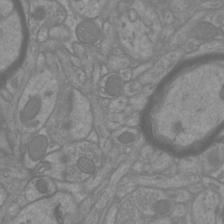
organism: Mouse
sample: Cortical neurons